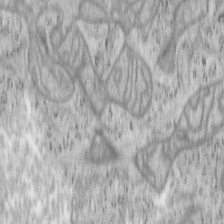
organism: Human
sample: HeLa cells